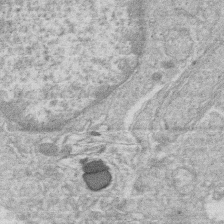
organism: Human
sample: Macrophage cells